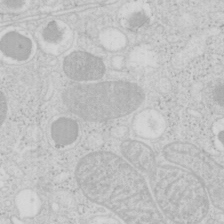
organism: Mouse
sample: Pancreas